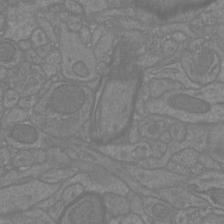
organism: Mouse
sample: Cortical neurons